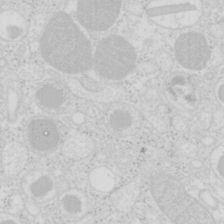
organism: Mouse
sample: Pancreas